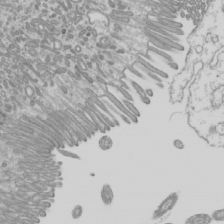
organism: Mouse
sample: Cilia; mouse epididymis